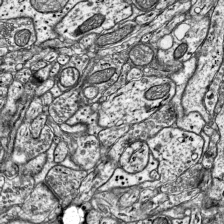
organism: Mouse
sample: Visual Cortex